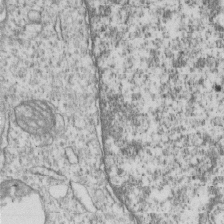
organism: Human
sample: MDA-MB-231 cells